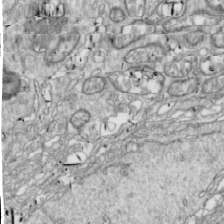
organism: Drosophila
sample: Cell division; meiosis; drosophila spermatocytes